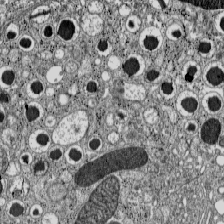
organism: C57BL Mouse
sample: Pancreatic islet